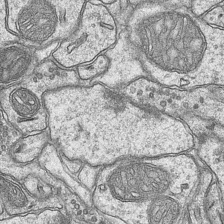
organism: Mouse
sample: CA1 Hippocampus